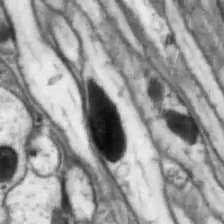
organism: Drosophila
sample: Optic lobe